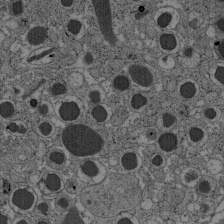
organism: C57BL Mouse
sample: Pancreatic islet